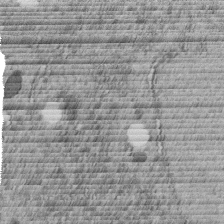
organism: C. elegans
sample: C. elegans embryo early stage